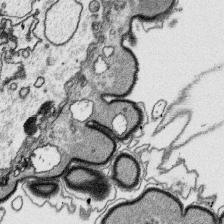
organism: Platynereis dumerilii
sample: Parapodia